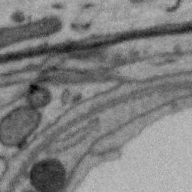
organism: Zebra finch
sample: Brain